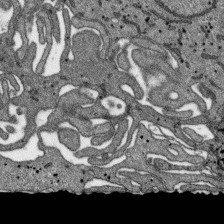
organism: Human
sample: Lung epithelial cells, uninfected (mock) control